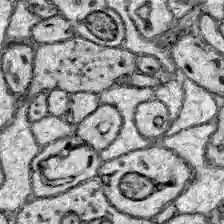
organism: Zebrafish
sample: Brain